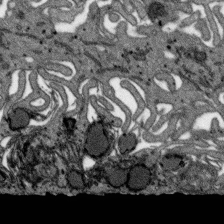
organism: Human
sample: Lung epithelial cells, uninfected (mock) control